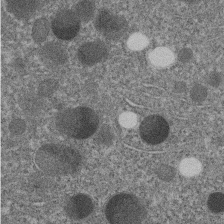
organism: C. elegans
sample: C. elegans embryo early stage